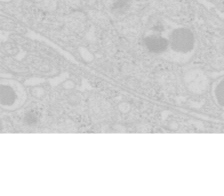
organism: Mouse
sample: Pancreas